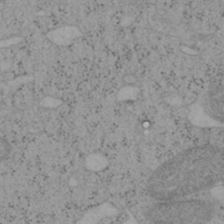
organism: Mouse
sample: OT-I killer T cells with ID8 ovarian cancer cells